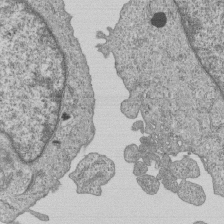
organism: Human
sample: MDA-MB-231 cells